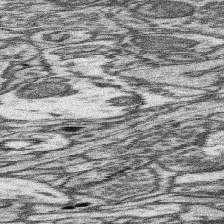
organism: Mouse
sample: Somatosensory cortex neuropil